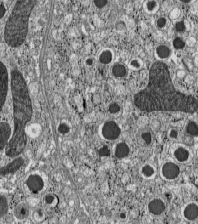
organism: C57BL Mouse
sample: Pancreatic islet